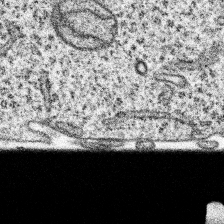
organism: Human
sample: HeLa cells